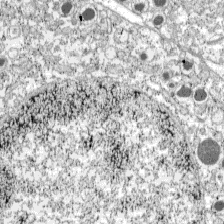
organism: C57BL Mouse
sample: Pancreatic islet